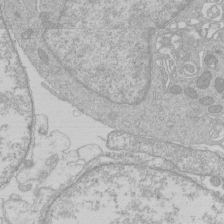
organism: Human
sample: Macrophage cells